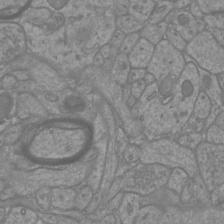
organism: Mouse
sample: Cortical neurons